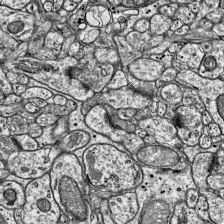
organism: Mouse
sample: Visual Cortex